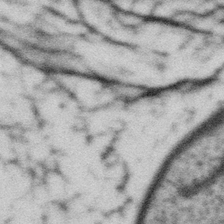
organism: Gemmata obscuriglobus